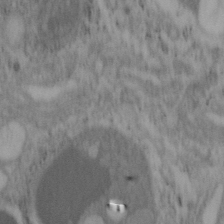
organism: Mouse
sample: OT-I killer T cells with ID8 ovarian cancer cells